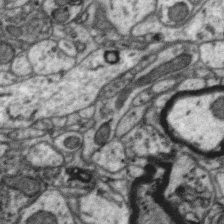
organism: Zebra finch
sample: Brain